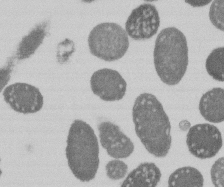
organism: E. coli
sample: Bacterial nucleoid